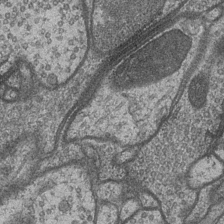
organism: Drosophila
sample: Optic medulla